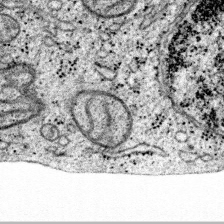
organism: Human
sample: HeLa cells